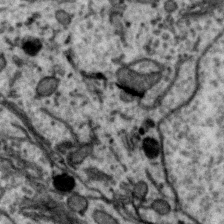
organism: Zebra finch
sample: Brain